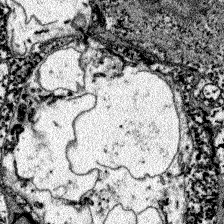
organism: Zebrafish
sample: Larval olfactory bulb